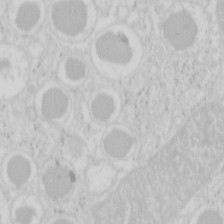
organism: Mouse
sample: Pancreas